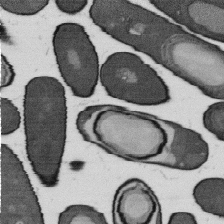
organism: B. subtilis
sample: Bacterial spore